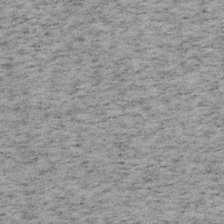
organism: Mouse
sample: OT-I killer T cells with ID8 ovarian cancer cells